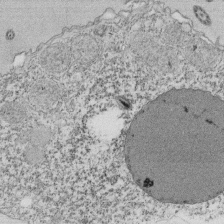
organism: Tetrahymena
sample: Cilia in tetrahymena